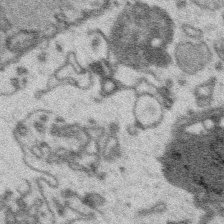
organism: Platynereis dumerilii